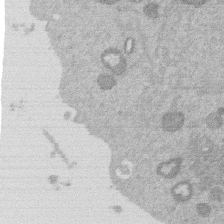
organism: Mouse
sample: Dividing mouse embryo 1 cell stage